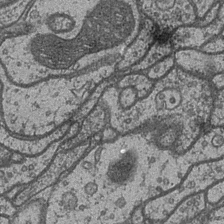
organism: Drosophila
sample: Optic medulla